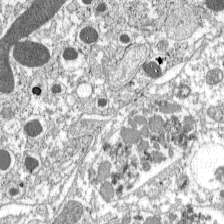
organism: C57BL Mouse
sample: Pancreatic islet